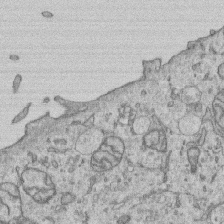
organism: Human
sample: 1205lu cells